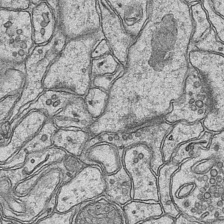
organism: Mouse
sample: CA1 Hippocampus